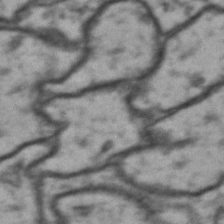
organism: Drosophila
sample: Brain